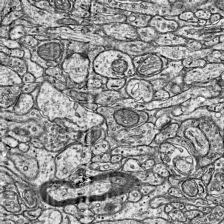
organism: Mouse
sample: Visual Cortex